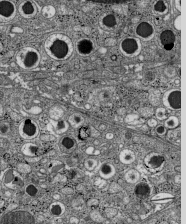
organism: C57BL Mouse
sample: Pancreatic islet